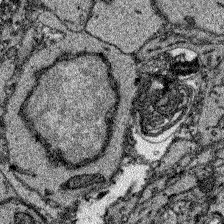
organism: Zebrafish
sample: Larval olfactory bulb